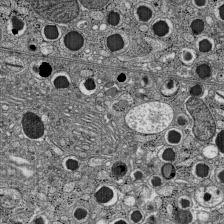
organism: C57BL Mouse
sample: Pancreatic islet